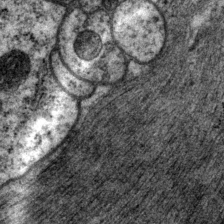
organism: P. pacificus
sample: Pharynx